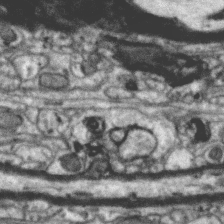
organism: Zebra finch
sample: Brain